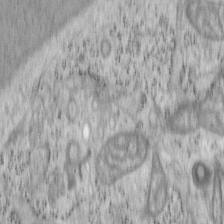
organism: Human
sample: HeLa cells